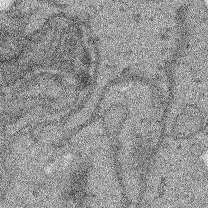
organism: Human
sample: HeLa cells